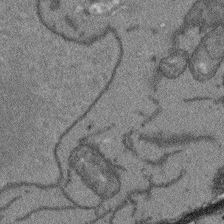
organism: Arabidopsis thaliana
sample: Root tip